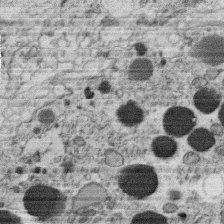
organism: C. elegans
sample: C. elegans oocyte; sperm cells